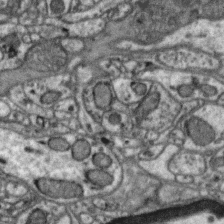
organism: Zebra finch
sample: Brain